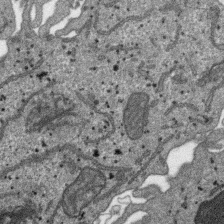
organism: Human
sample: Lung epithelial cells infected with SARS-CoV-2